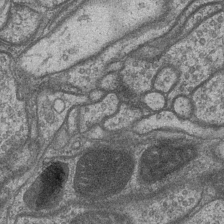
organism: Drosophila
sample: Optic medulla